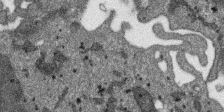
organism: Human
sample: Lung epithelial cells infected with SARS-CoV-2